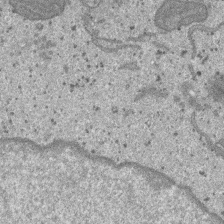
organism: Human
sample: Lung epithelial cells infected with SARS-CoV-2